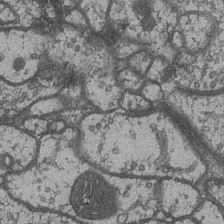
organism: Drosophila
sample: Optic medulla